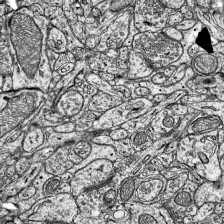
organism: Mouse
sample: Visual Cortex